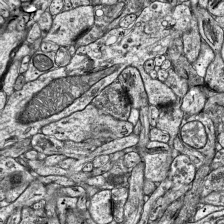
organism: Mouse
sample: Visual Cortex